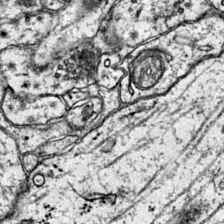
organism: Mouse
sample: Primary visual cortex